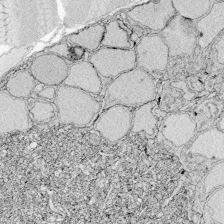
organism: Zebrafish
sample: Whole-Brain